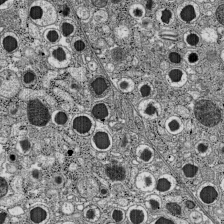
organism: C57BL Mouse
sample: Pancreatic islet